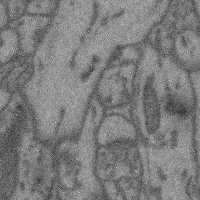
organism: Mouse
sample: Cerebral cortex